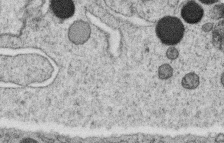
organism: C. elegans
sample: C. elegans oocyte; sperm cells